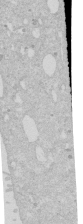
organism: Human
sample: Caco-2 cells